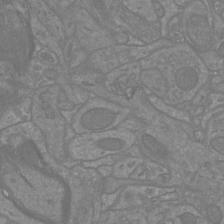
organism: Mouse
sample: Cortical neurons